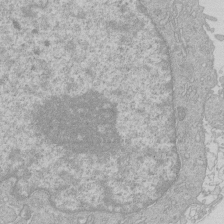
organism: Human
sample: Macrophage cells